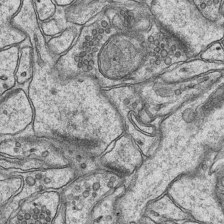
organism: Mouse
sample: CA1 Hippocampus